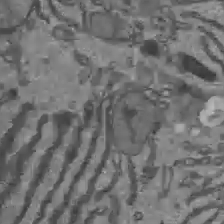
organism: C57BL Mouse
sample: Liver